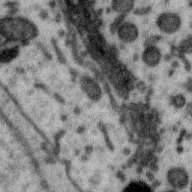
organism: Zebra finch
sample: Brain